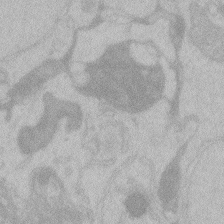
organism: Zebrafish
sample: Macrophage infected with Toxoplasma gondii